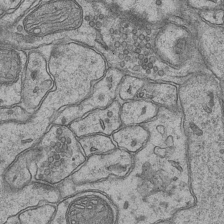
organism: Mouse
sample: CA1 Hippocampus